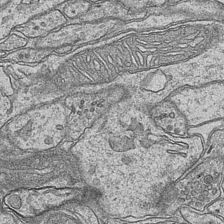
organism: Mouse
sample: CA1 Hippocampus